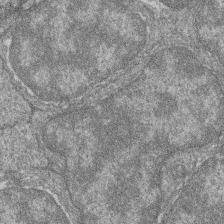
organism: Zebrafish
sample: Cilia; retinal pigment epithelium